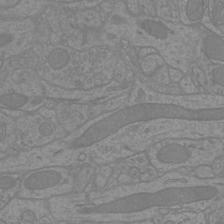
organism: Mouse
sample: Cortical neurons